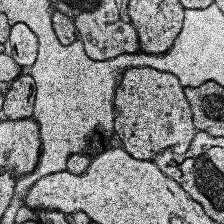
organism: Human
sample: Temporal Lobe